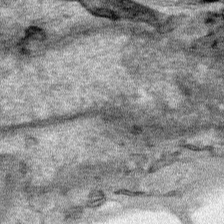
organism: Human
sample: Mitochondria in HCT116 cells